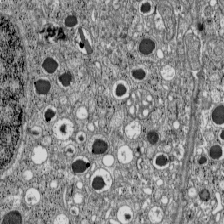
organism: C57BL Mouse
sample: Pancreatic islet